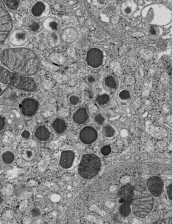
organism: C57BL Mouse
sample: Pancreatic islet